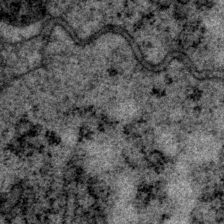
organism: P. pacificus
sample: Pharynx